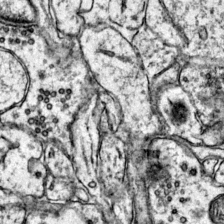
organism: Mouse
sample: Primary visual cortex